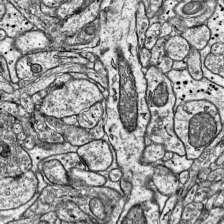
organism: Mouse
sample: Visual Cortex